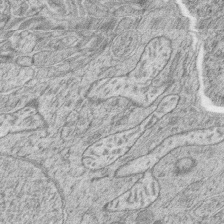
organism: Zebrafish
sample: synaptic ribbons in rod cells and cone cells